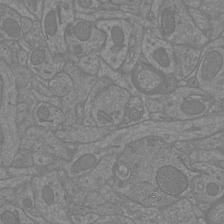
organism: Mouse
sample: Cortical neurons